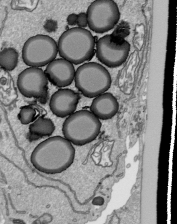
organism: Human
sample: Mitochondria in HCT116 cells